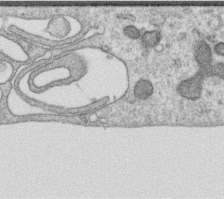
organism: Human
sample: Centriole in RPE cells